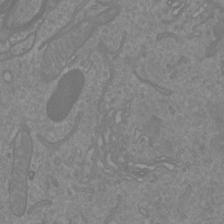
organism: Mouse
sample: Cortical neurons